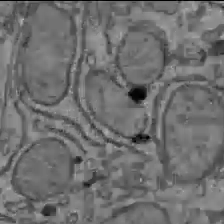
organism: C57BL Mouse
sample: Liver